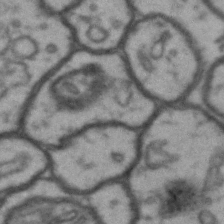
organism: Drosophila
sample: Brain